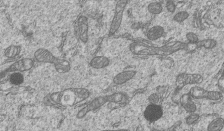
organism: Human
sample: MDA-MB-231 cells